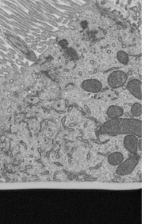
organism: Mouse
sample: Mouse epididymis efferent ductule cilia